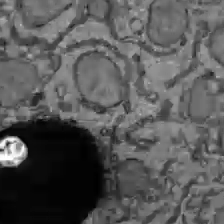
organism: C57BL Mouse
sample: Liver